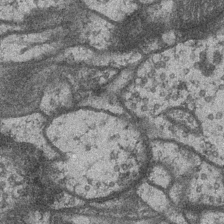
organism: Drosophila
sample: Optic medulla